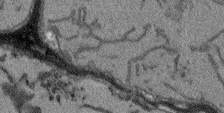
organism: Arabidopsis thaliana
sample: Root tip